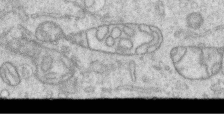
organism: Human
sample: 1205lu cells